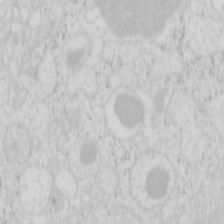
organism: Mouse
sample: Pancreas